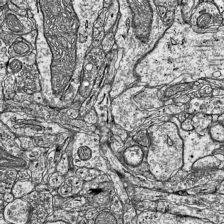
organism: Mouse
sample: Visual Cortex